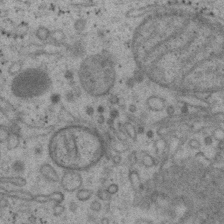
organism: Human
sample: HeLa cells